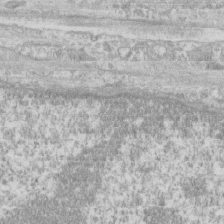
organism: Human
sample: CRL-1474